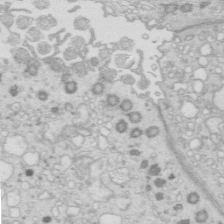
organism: Mouse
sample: Multiciliated cells